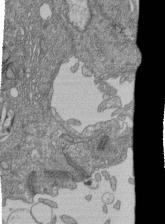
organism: Human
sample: Retinal organoid Rod and Cone cells